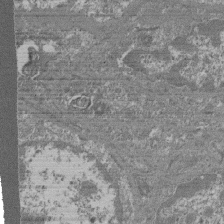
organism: Mouse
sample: Glomerulus